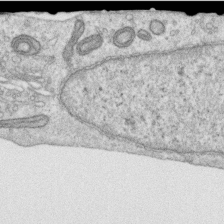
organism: Human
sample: Centriole in RPE cells